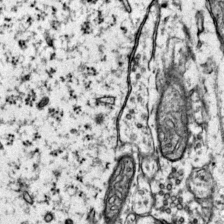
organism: Mouse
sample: Primary visual cortex